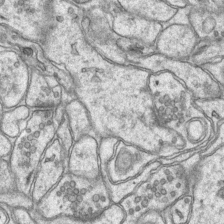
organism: Mouse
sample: CA1 Hippocampus